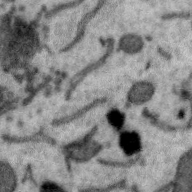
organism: Zebra finch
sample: Brain